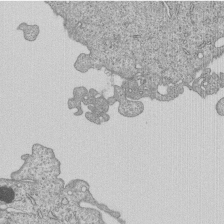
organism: Human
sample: MDA-MB-231 cells